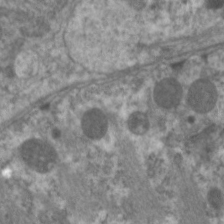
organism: C. elegans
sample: Pharynx